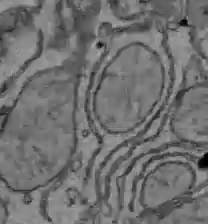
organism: C57BL Mouse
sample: Liver